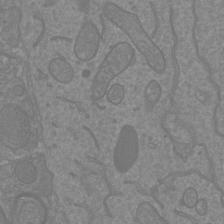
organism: Mouse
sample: Cortical neurons